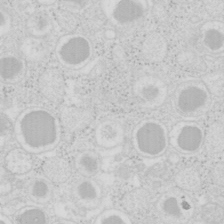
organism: Mouse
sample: Pancreas